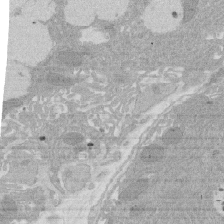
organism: Rat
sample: Salivary granule